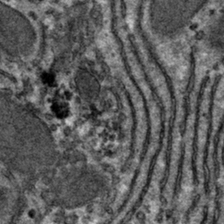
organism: Mouse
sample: Mouse hepatocytes